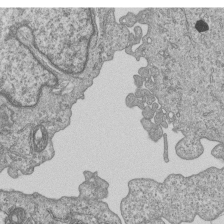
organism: Human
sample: MDA-MB-231 cells